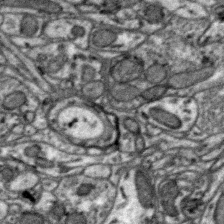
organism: Zebra finch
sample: Brain